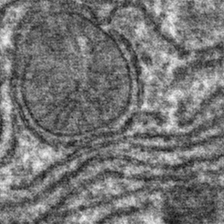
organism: Mouse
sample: Mouse hepatocytes